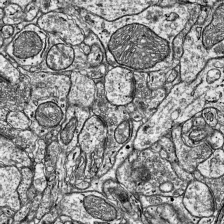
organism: Mouse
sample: Visual Cortex